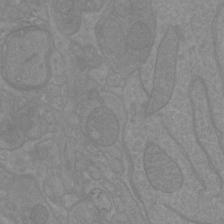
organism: Mouse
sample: Cortical neurons